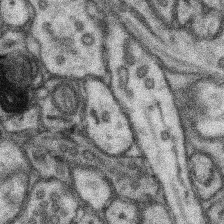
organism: Mouse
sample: Somatosensory cortex neuropil